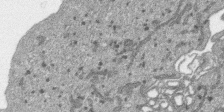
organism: Human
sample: Lung epithelial cells infected with SARS-CoV-2